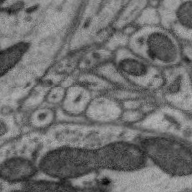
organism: Zebra finch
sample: Brain